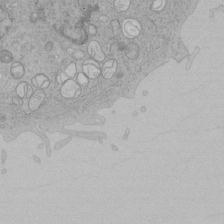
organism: Human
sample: Mitochondria in HCT116 cells